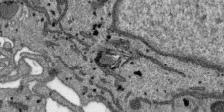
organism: Human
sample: Lung epithelial cells, uninfected (mock) control